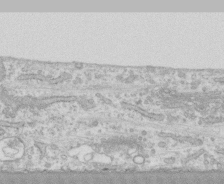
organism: Human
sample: CRL-1474